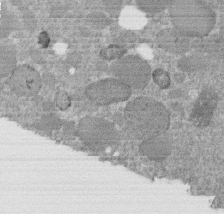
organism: C. elegans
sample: C. elegans embryo early stage